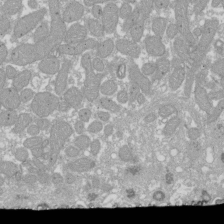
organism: Xenopus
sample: Cilia; centrioles in frog embryo cells